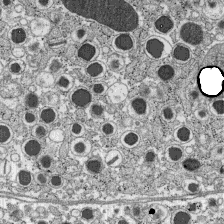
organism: C57BL Mouse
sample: Pancreatic islet